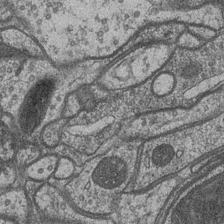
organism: Drosophila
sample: Optic medulla